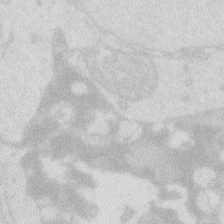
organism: Zebrafish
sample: Macrophage